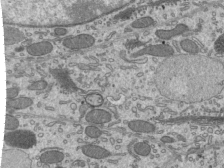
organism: Mouse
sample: Mouse epididymis efferent ductule cilia